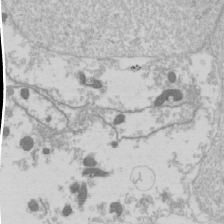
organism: Drosophila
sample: Cell division; meiosis; drosophila spermatocytes